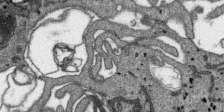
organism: Human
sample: Lung epithelial cells, uninfected (mock) control